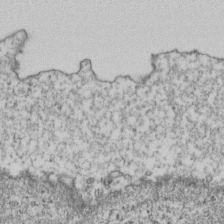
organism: Human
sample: Activated Jurkat CD4+ T cells